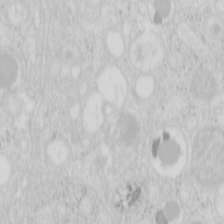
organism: Mouse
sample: Pancreas